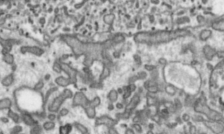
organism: Toxoplasma gondii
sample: Parasites in a vacuole inside a host cell